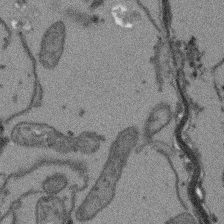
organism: Arabidopsis thaliana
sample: Root tip